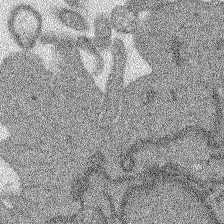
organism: Human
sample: HeLa cells